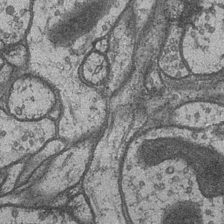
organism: Drosophila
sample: Optic medulla